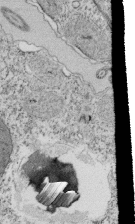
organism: Tetrahymena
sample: Cilia in tetrahymena